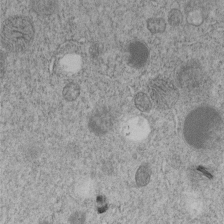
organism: C. elegans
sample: C. elegans embryo early stage